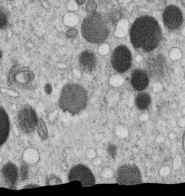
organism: C. elegans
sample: C. elegans oocyte; sperm cells